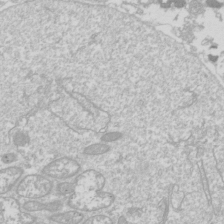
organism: Drosophila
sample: Cell division; meiosis; drosophila spermatocytes